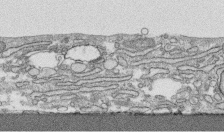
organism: Human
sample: CRL-1474